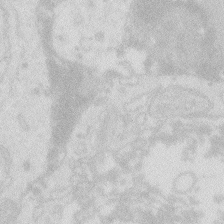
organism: Zebrafish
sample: Macrophage